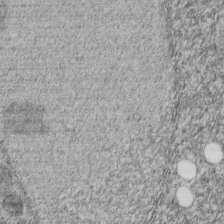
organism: C. elegans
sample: C. elegans embryo early stage